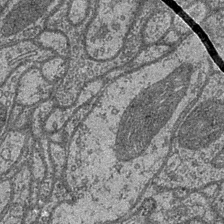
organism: Drosophila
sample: Optic medulla